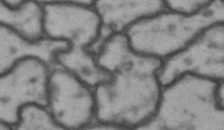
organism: Drosophila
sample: Brain